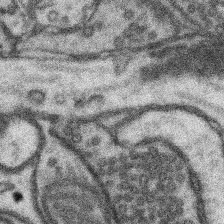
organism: Mouse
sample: Somatosensory cortex neuropil